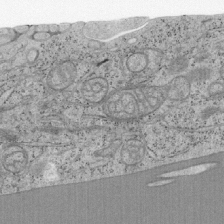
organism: Human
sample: HeLa cells